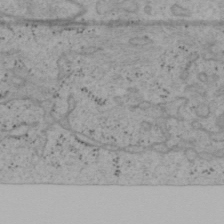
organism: Human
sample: HeLa cells